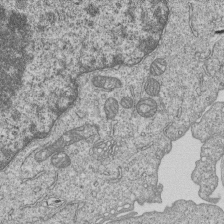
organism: Human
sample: MDA-MB-231 cells